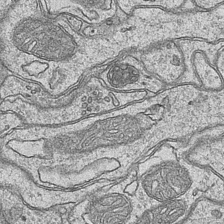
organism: Mouse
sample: CA1 Hippocampus